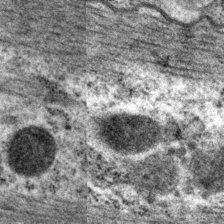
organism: P. pacificus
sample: Pharynx